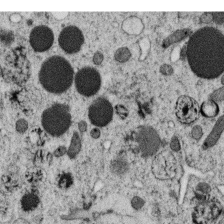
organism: C. elegans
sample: C. elegans oocyte; sperm cells